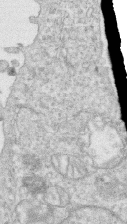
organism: Human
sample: HeLa cell HIV synapse